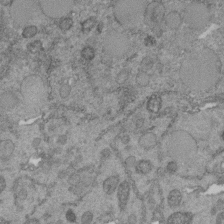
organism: C. elegans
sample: C. elegans embryo early stage